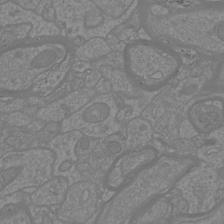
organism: Mouse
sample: Cortical neurons